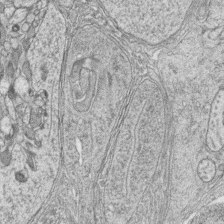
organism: Zebrafish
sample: synaptic ribbons in rod cells and cone cells